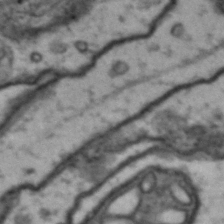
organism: Drosophila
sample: Brain